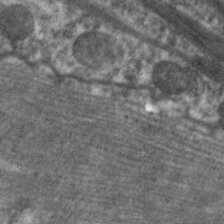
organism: C. elegans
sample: Pharynx